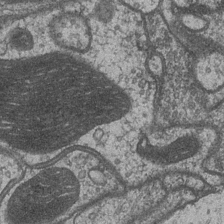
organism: Drosophila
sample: Optic medulla